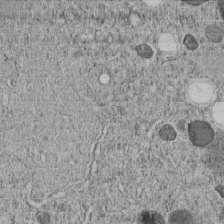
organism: C. elegans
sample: C. elegans embryo early stage